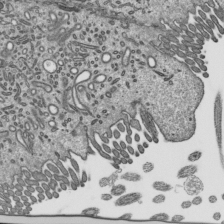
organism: Mouse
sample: Mouse epididymis efferent ductule cilia